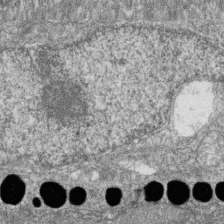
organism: Zebrafish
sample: Cilia; retinal pigment epithelium